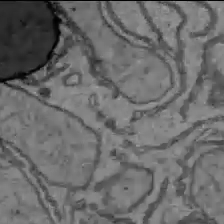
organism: C57BL Mouse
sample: Liver